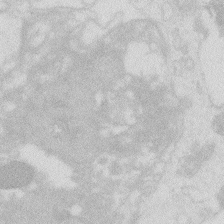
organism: Zebrafish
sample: Macrophage